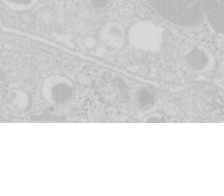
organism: Mouse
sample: Pancreas